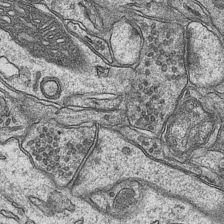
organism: Mouse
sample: CA1 Hippocampus